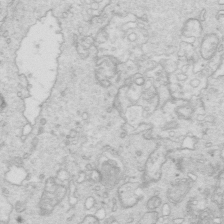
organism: Mouse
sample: Multiciliated cells